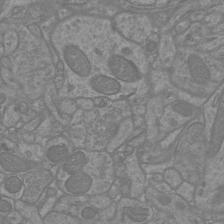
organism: Mouse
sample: Cortical neurons